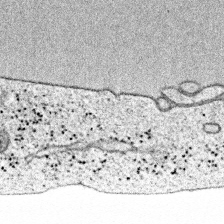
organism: Human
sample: HeLa cells